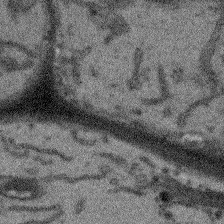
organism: Arabidopsis thaliana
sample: Root tip